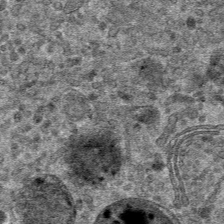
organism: Mouse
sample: Mouse hepatocytes